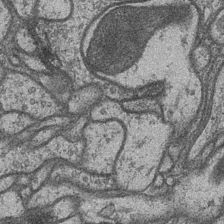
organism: Drosophila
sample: Optic medulla